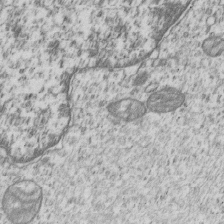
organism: Human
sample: MDA-MB-231 cells